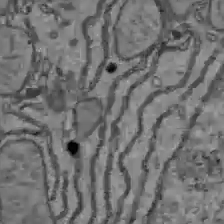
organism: C57BL Mouse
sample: Liver